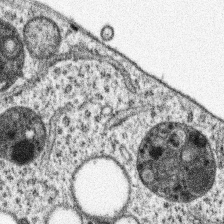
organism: Human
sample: HeLa cells